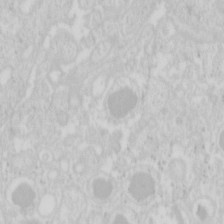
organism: Mouse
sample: Pancreas